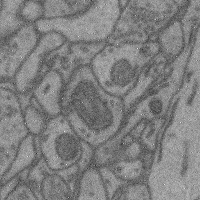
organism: Mouse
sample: Cerebral cortex